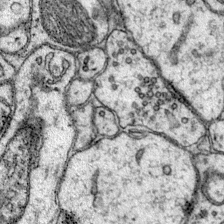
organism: Mouse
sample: Primary visual cortex